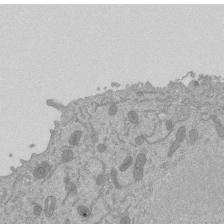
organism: Mouse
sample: ED-1 cell nuclei; centrioles